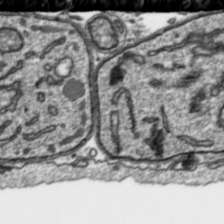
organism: Toxoplasma gondii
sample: Parasites in a vacuole inside a host cell